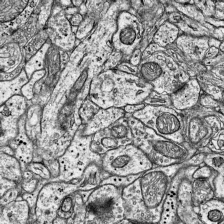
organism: Mouse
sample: Visual Cortex